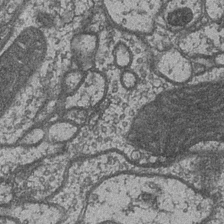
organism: Drosophila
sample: Optic medulla